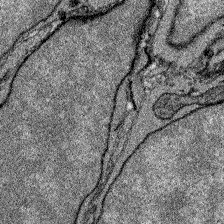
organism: Zebrafish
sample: Larval olfactory bulb